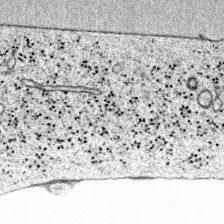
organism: Human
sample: HeLa cells